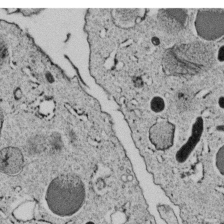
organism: C. elegans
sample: C. elegans embryo early stage